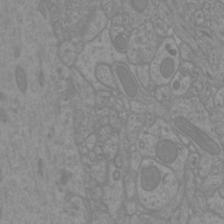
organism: Mouse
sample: Cortical neurons